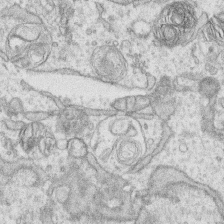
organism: Human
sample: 1205lu cells